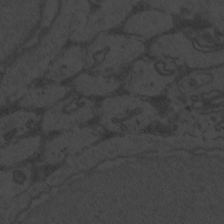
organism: Zebrafish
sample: Macrophage infected with Toxoplasma gondii